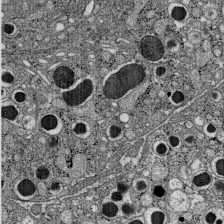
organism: C57BL Mouse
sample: Pancreatic islet